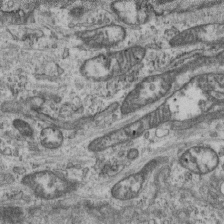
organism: Mouse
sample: Centriole in ependymal cells